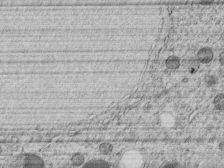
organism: C. elegans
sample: C. elegans embryo early stage